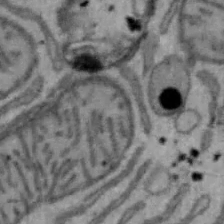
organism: Mouse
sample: Liver